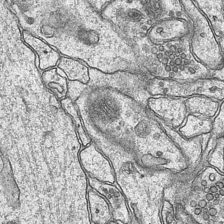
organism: Mouse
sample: CA1 Hippocampus